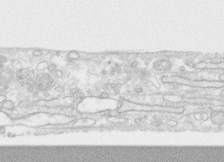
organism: Human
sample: CRL-1474